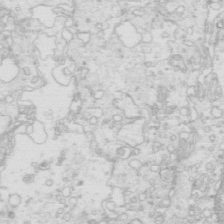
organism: Mouse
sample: Multiciliated cells